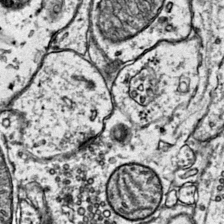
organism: Mouse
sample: Primary visual cortex